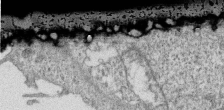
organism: Human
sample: HeLa cell HIV synapse